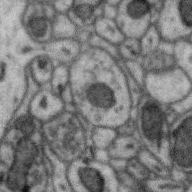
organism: Zebra finch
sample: Brain